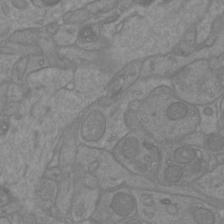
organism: Mouse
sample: Cortical neurons